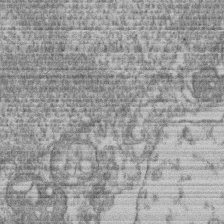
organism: Mouse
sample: T cell stromal cell synapse